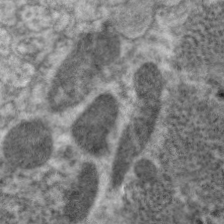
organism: C. elegans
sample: Pharynx